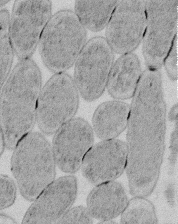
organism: E. coli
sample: Bacterial nucleoid